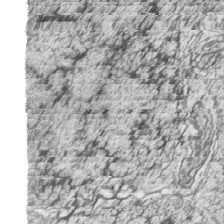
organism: Zebrafish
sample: synaptic ribbons in rod cells and cone cells